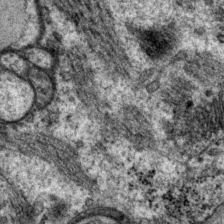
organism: P. pacificus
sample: Pharynx